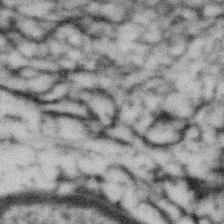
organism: Gemmata obscuriglobus